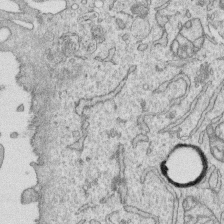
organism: Human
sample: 1205lu cells